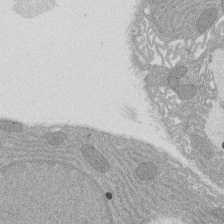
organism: Rat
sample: Salivary granule